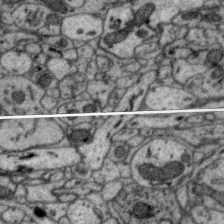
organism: Zebra finch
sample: Brain